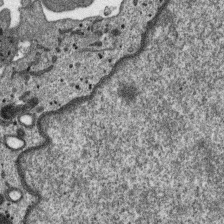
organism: Human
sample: Lung epithelial cells infected with SARS-CoV-2